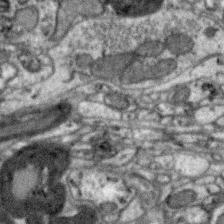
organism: Zebra finch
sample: Brain